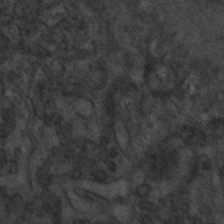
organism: C. elegans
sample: C. elegans embryo